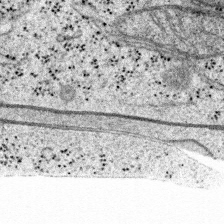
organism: Human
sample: HeLa cells